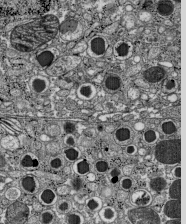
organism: C57BL Mouse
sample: Pancreatic islet